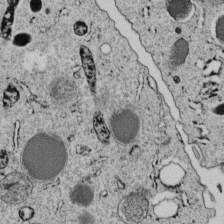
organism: C. elegans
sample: C. elegans embryo early stage